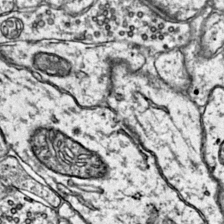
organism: Mouse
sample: Primary visual cortex